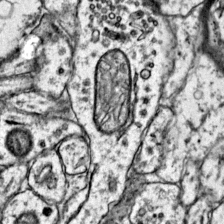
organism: Mouse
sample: Primary visual cortex